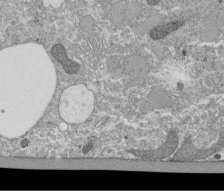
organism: Tetrahymena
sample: Cilia in tetrahymena